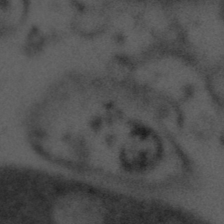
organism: Tuwongella immobilis